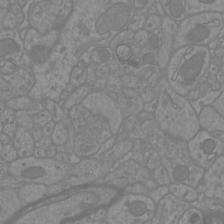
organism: Mouse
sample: Cortical neurons